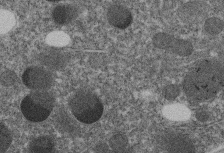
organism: C. elegans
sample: C. elegans embryo early stage